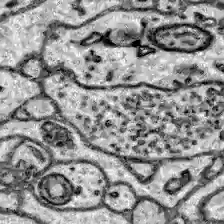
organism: Zebrafish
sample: Brain